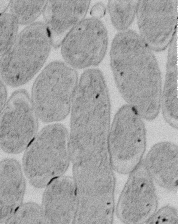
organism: E. coli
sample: Bacterial nucleoid